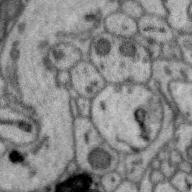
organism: Zebra finch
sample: Brain